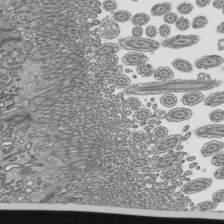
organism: Mouse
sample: Mouse epididymis efferent ductule cilia